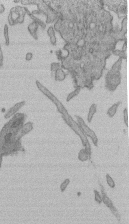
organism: Human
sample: Retinal organoid Rod and Cone cells